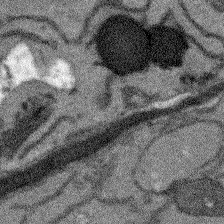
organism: Arabidopsis thaliana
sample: Root tip